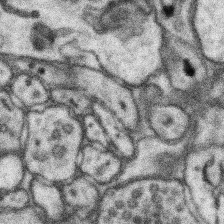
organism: Mouse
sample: Somatosensory cortex neuropil